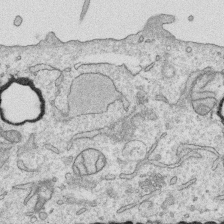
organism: Human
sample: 1205lu cells